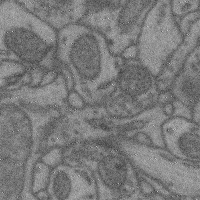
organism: Mouse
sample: Cerebral cortex